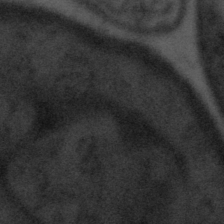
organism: Tuwongella immobilis